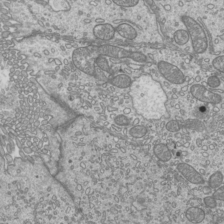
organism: Mouse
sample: Cilia; mouse epididymis